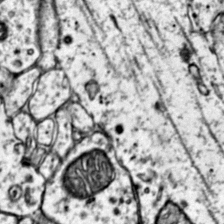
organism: Mouse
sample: Primary visual cortex